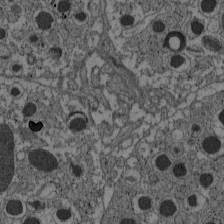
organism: C57BL Mouse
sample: Pancreatic islet